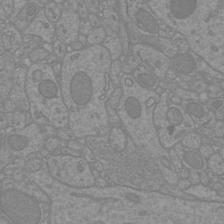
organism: Mouse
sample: Cortical neurons